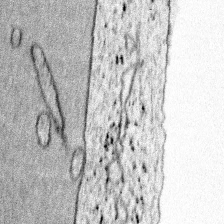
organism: Human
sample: HeLa cells